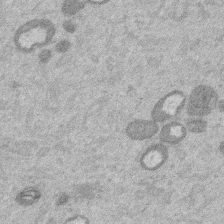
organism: Mouse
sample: Dividing mouse embryo 1 cell stage